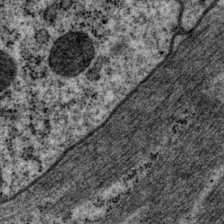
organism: P. pacificus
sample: Pharynx